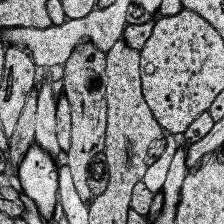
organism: Human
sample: Temporal Lobe